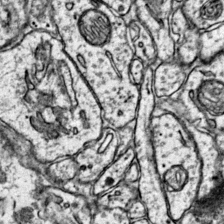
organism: Mouse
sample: Primary visual cortex